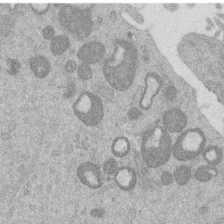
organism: Mouse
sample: Dividing mouse embryo 1 cell stage